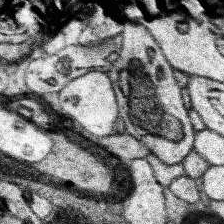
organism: Human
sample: Temporal Lobe